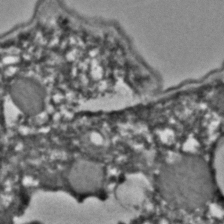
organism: C. elegans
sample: C. elegans embryo